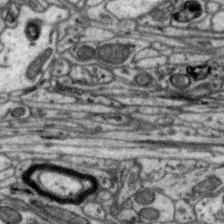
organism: Zebra finch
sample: Brain